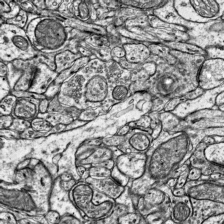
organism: Mouse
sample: Visual Cortex